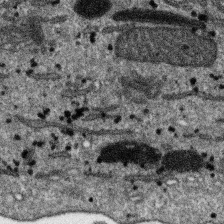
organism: Human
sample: Lung epithelial cells infected with SARS-CoV-2